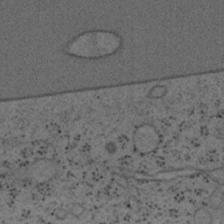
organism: Human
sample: HeLa cells